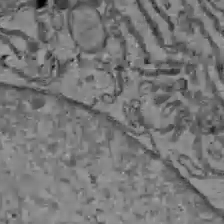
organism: C57BL Mouse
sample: Liver